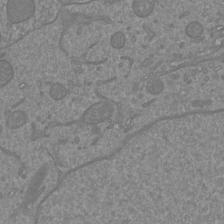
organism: Mouse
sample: Cortical neurons